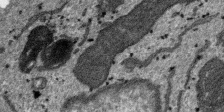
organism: Human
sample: Lung epithelial cells, uninfected (mock) control